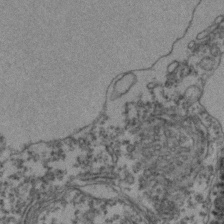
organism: Zebrafish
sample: Zebrafish embryo